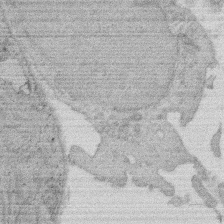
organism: Rat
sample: Salivary granule